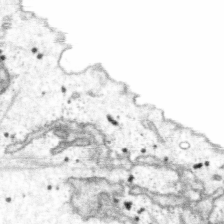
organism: Human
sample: HeLa cells